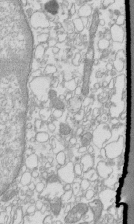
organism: Mouse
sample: Macrophages